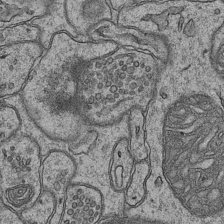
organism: Mouse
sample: CA1 Hippocampus